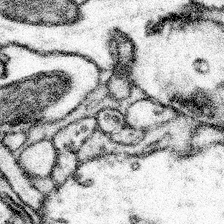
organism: Mouse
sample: Somatosensory cortex neuropil